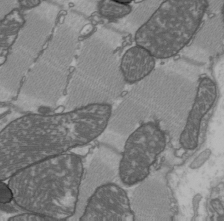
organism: C57BL Mouse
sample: Heart